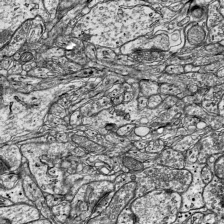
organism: Mouse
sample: Visual Cortex